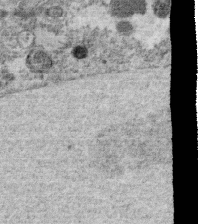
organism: C. elegans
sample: C. elegans oocyte; sperm cells